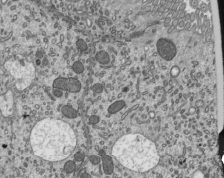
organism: Mouse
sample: Mouse epididymis efferent ductule cilia